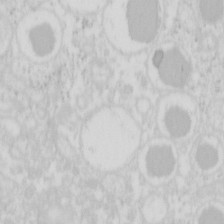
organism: Mouse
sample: Pancreas